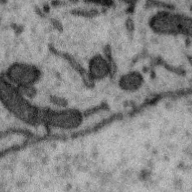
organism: Zebra finch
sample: Brain